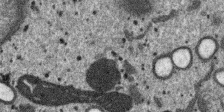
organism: Human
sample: Lung epithelial cells infected with SARS-CoV-2